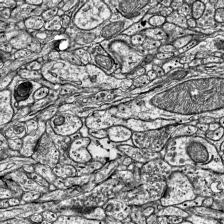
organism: Mouse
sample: Visual Cortex